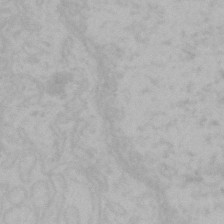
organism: Mouse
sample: Choroid plexus